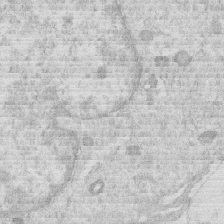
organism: Human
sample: Macrophage cells